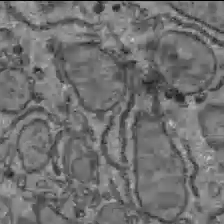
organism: C57BL Mouse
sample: Liver